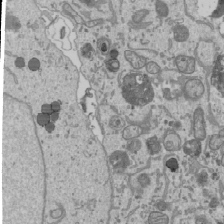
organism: Human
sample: Mitochondria in U2OS cells